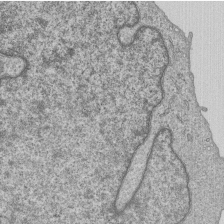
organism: Human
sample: MDA-MB-231 cells